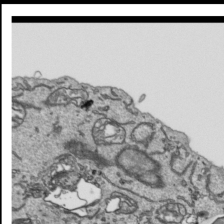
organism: Human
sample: Mitochondria in HCT116 cells